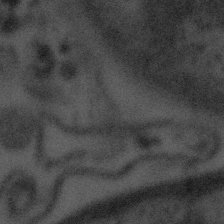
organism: Tuwongella immobilis